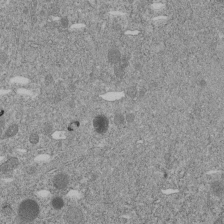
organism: C. elegans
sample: C. elegans embryo early stage